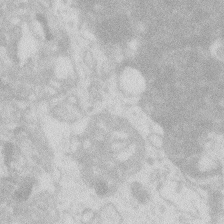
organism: Zebrafish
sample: Macrophage